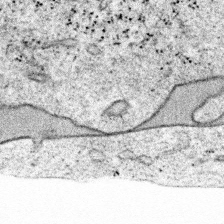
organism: Human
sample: HeLa cells